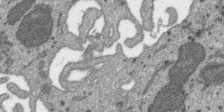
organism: Human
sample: Lung epithelial cells infected with SARS-CoV-2